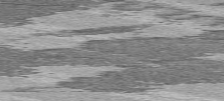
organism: C57BL Mouse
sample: Heart